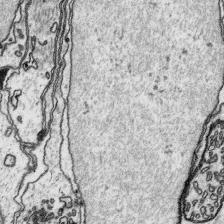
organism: Platynereis dumerilii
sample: Parapodia